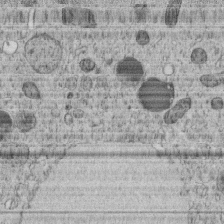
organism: C. elegans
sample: C. elegans embryo early stage